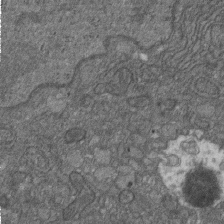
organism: Drosophila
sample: Nephrocyte